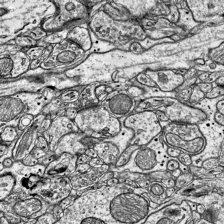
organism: Mouse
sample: Visual Cortex